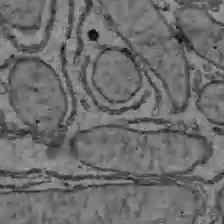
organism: C57BL Mouse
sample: Liver